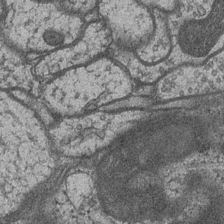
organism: Drosophila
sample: Optic medulla